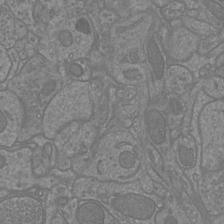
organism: Mouse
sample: Cortical neurons